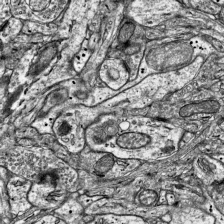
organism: Mouse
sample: Visual Cortex